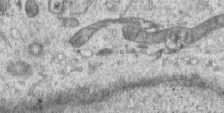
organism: Human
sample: Centriole in RPE cells